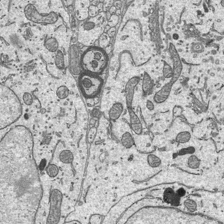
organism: Mouse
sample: Suprachiasmatic nucleus